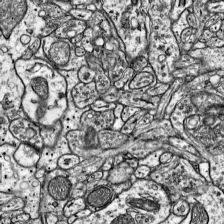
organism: Mouse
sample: Visual Cortex